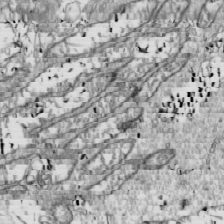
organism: Drosophila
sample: Cell division; meiosis; drosophila spermatocytes